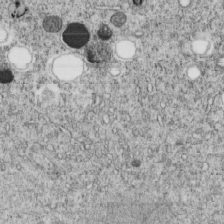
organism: C. elegans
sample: C. elegans embryo early stage